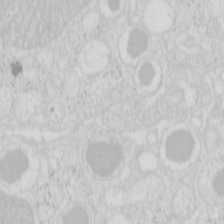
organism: Mouse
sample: Pancreas